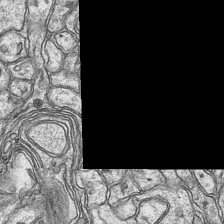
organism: Mouse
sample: CA1 Hippocampus